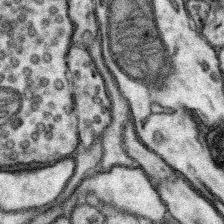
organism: Mouse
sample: Somatosensory cortex neuropil